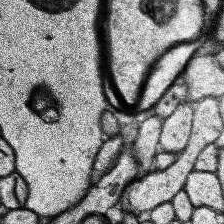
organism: Human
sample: Temporal Lobe